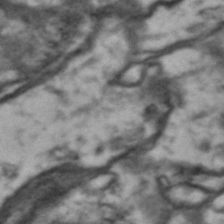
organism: Drosophila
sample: Brain